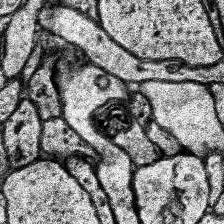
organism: Human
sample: Temporal Lobe